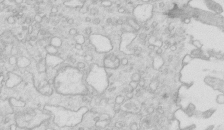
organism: Mouse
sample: Multiciliated cells